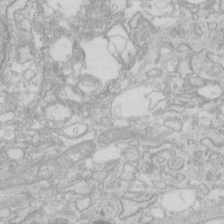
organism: Human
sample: Fibroblast cells